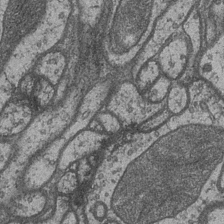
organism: Drosophila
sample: Optic medulla